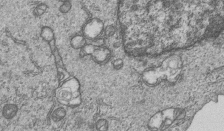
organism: Human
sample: MDA-MB-231 cells